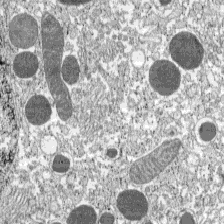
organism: C57BL Mouse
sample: Pancreatic islet